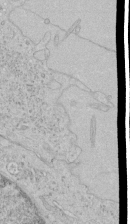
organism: Human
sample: Mitochondria in HCT116 cells